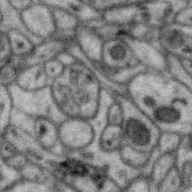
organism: Zebra finch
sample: Brain